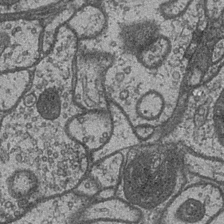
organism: Drosophila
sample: Optic medulla